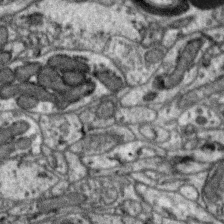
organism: Zebra finch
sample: Brain